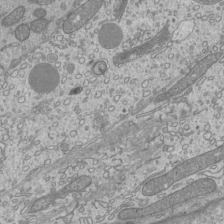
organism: Mouse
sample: Cilia; mouse epididymis